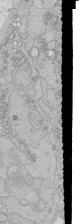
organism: Human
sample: Caco-2 cells